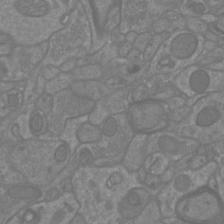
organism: Mouse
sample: Cortical neurons